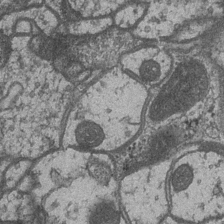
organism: Drosophila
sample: Optic medulla